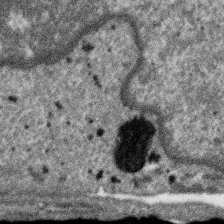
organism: Human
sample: Lung epithelial cells infected with SARS-CoV-2